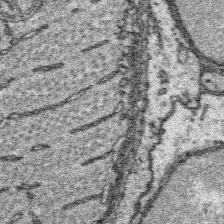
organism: Platynereis dumerilii